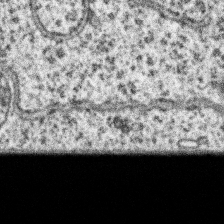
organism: Human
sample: HeLa cells